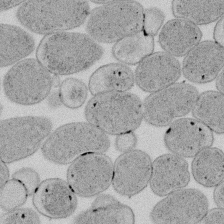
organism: E. coli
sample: Bacterial nucleoid